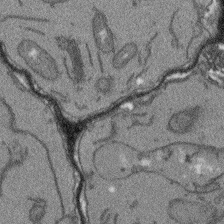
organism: Arabidopsis thaliana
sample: Root tip